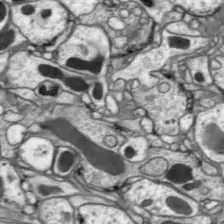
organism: Drosophila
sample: Optic lobe